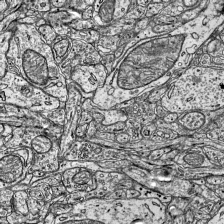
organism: Mouse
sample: Visual Cortex